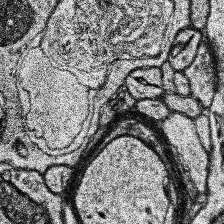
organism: Human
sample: Temporal Lobe